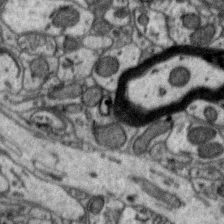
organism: Zebra finch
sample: Brain